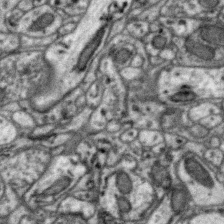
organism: Zebra finch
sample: Brain